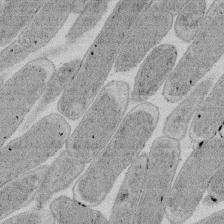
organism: E. coli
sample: Bacterial nucleoid